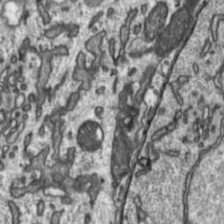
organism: Toxoplasma gondii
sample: Parasites in a vacuole inside a host cell